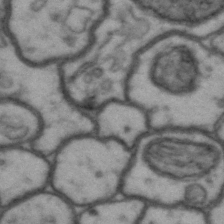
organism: Drosophila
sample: Brain